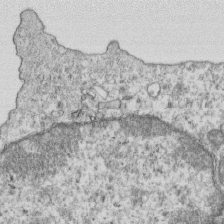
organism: Mouse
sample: Activated OT-1 CD8+ T cells